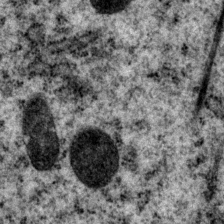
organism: P. pacificus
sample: Pharynx